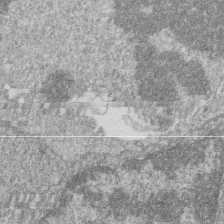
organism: Zebrafish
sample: Cilia; retinal pigment epithelium